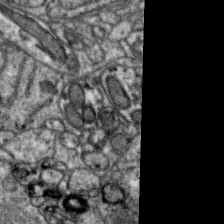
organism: Zebra finch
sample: Brain